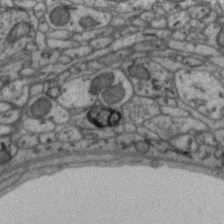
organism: Zebra finch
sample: Brain